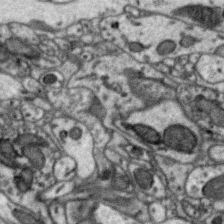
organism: Zebra finch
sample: Brain